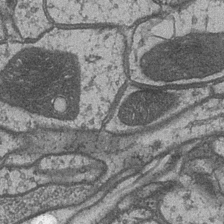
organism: Drosophila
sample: Optic medulla